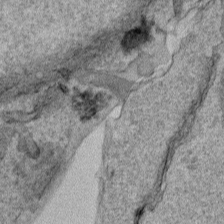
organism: Human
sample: Mitochondria in HCT116 cells